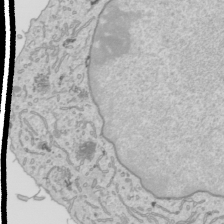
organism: Human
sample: Mitochondria in HCT116 cells